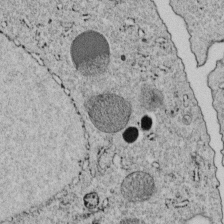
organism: C. elegans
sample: C. elegans embryo early stage